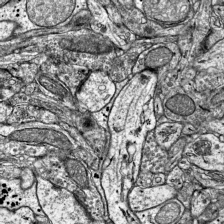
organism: Mouse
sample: Visual Cortex